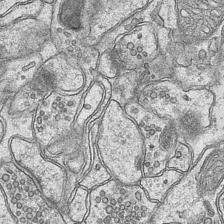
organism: Mouse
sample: CA1 Hippocampus